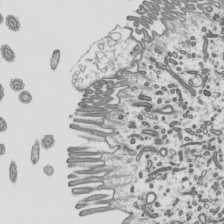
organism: Mouse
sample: Mouse epididymis efferent ductule cilia